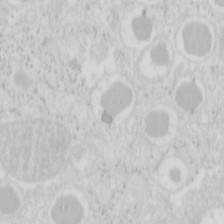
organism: Mouse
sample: Pancreas